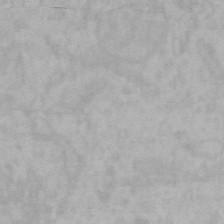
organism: Mouse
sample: Choroid plexus